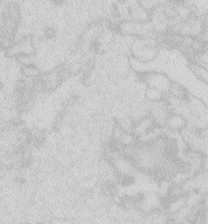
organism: Zebrafish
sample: Macrophage